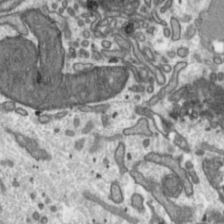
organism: Toxoplasma gondii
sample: Parasites in a vacuole inside a host cell